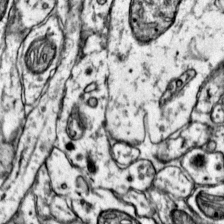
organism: Mouse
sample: Primary visual cortex